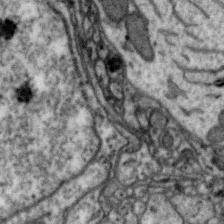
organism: Zebra finch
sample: Brain